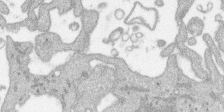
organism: Human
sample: Lung epithelial cells infected with SARS-CoV-2